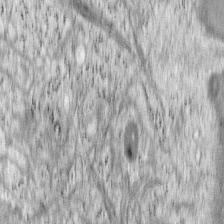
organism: Human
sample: HeLa cells